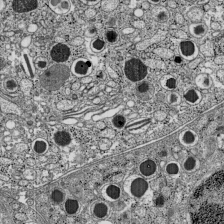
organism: C57BL Mouse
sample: Pancreatic islet